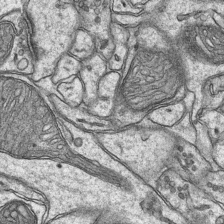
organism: Mouse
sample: CA1 Hippocampus